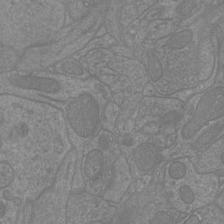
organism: Mouse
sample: Cortical neurons